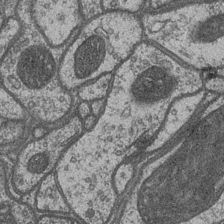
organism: Drosophila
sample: Optic medulla